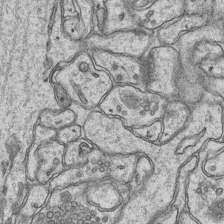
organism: Mouse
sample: CA1 Hippocampus